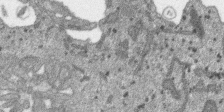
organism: Human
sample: Lung epithelial cells infected with SARS-CoV-2